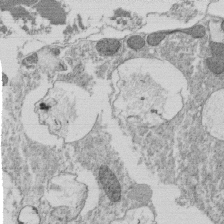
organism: Tetrahymena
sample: Cilia in tetrahymena